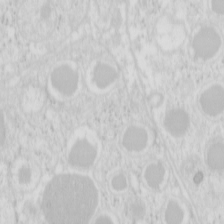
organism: Mouse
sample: Pancreas